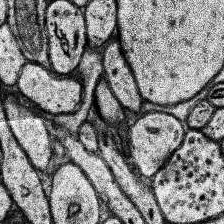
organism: Human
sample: Temporal Lobe